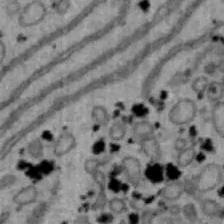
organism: Mouse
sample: Liver